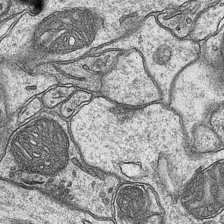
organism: Mouse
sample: CA1 Hippocampus